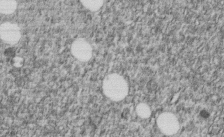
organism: C. elegans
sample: C. elegans embryo early stage